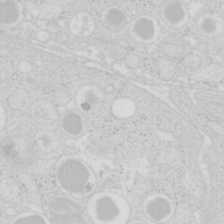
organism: Mouse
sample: Pancreas